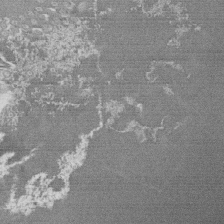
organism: Tetrahymena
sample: Cilia in tetrahymena